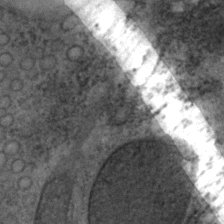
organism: C. elegans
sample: C. elegans embryo